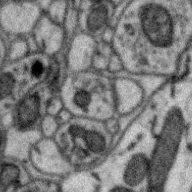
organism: Zebra finch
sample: Brain